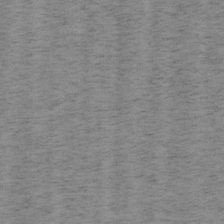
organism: Mouse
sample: OT-I killer T cells with ID8 ovarian cancer cells